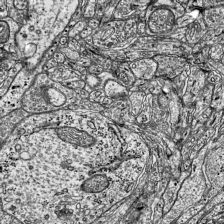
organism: Mouse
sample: Visual Cortex